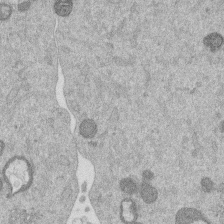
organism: Mouse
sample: Dividing mouse embryo 1 cell stage